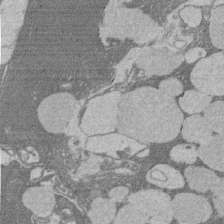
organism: Rat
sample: Salivary granule